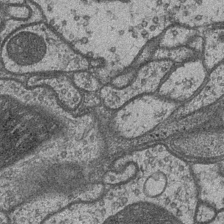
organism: Drosophila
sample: Optic medulla